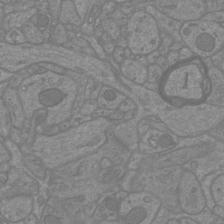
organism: Mouse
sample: Cortical neurons